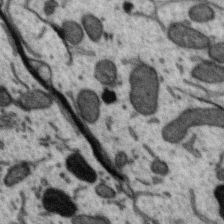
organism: Zebra finch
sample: Brain